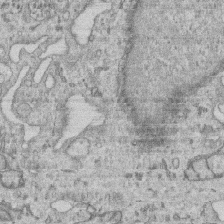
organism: Human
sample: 1205lu cells